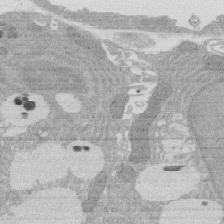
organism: Rat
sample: Salivary granule